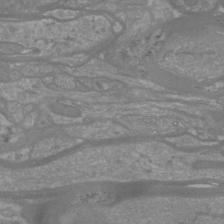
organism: Mouse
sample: Cortical neurons